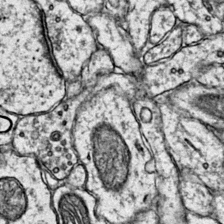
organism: Mouse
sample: Primary visual cortex